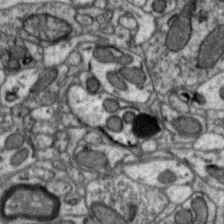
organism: Zebra finch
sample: Brain